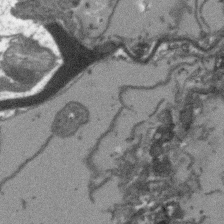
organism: Arabidopsis thaliana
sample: Root tip